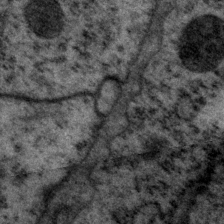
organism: P. pacificus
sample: Pharynx